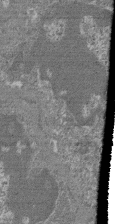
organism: Mouse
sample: Glomerulus